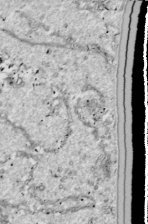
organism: Drosophila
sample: Cell division; meiosis; drosophila spermatocytes